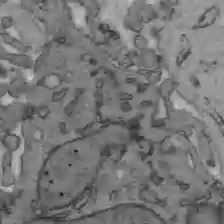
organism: C57BL Mouse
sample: Liver